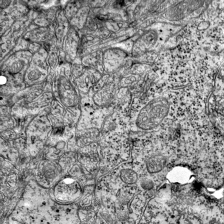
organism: Mouse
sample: Visual Cortex